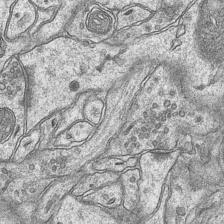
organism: Mouse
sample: CA1 Hippocampus